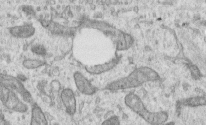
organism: Human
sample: Centriole in RPE cells